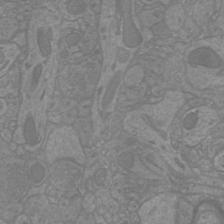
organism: Mouse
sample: Cortical neurons